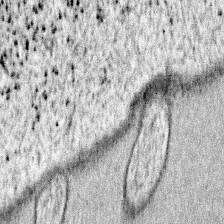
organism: Human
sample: HeLa cells